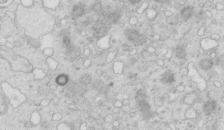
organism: Mouse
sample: Multiciliated cells